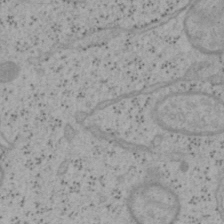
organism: Human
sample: HeLa cells